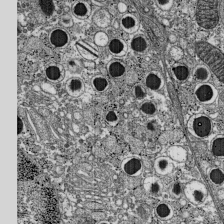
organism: C57BL Mouse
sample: Pancreatic islet